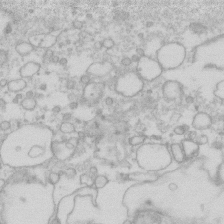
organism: Human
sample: Fibroblast cells